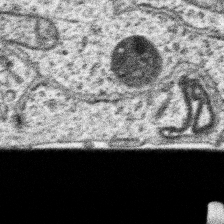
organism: Human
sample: HeLa cells